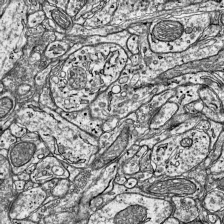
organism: Mouse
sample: Visual Cortex